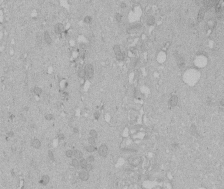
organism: Human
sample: Melanocyte Keratinocyte synapse skin construct